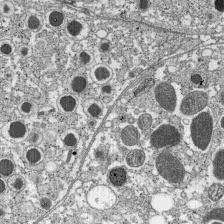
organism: C57BL Mouse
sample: Pancreatic islet